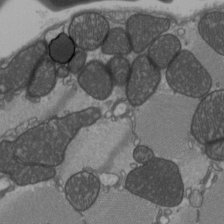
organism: C57BL Mouse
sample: Heart